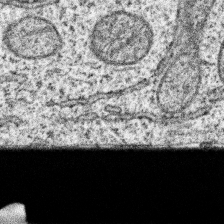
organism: Human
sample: HeLa cells